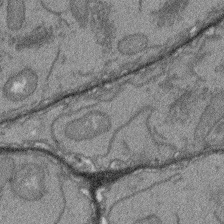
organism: Arabidopsis thaliana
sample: Root tip